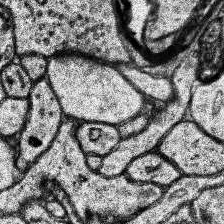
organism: Human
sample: Temporal Lobe